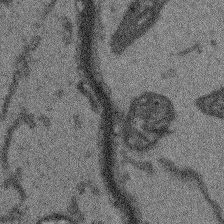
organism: Arabidopsis thaliana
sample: Root tip